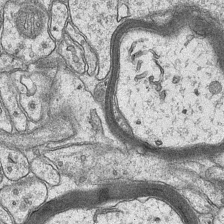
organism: Mouse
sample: CA1 Hippocampus